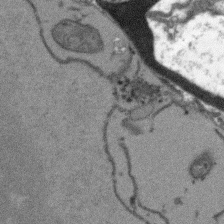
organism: Arabidopsis thaliana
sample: Root tip